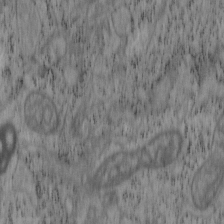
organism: Human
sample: HeLa cells